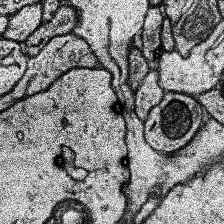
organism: Human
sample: Temporal Lobe